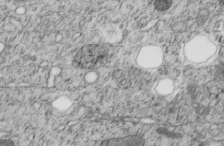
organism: C. elegans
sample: C. elegans embryo early stage